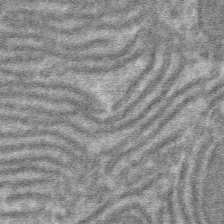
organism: Mouse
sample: Mouse hepatocytes